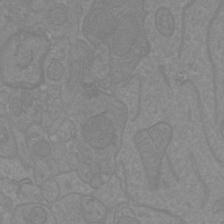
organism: Mouse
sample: Cortical neurons